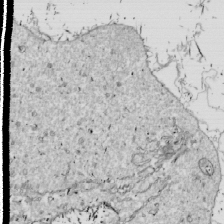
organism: Drosophila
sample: Cell division; meiosis; drosophila spermatocytes